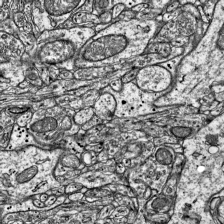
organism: Mouse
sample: Visual Cortex